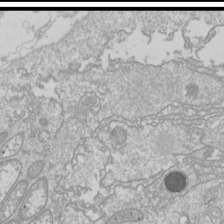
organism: Drosophila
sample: Cell division; meiosis; drosophila spermatocytes